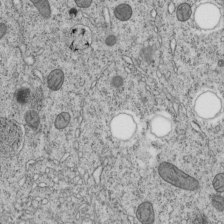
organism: C. elegans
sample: C. elegans embryo early stage